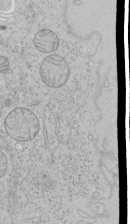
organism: Human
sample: Mitochondria in HCT116 cells